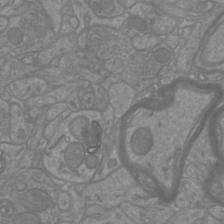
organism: Mouse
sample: Cortical neurons